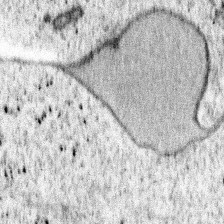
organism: Human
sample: HeLa cells